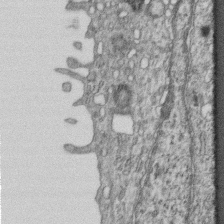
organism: Mouse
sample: Centriole in ependymal cells